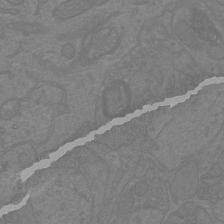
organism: Mouse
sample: Cortical neurons